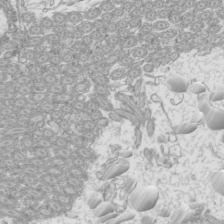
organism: Mouse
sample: Cilia; mouse epididymis